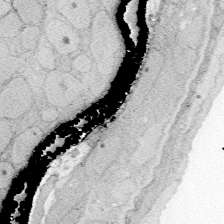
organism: Zebrafish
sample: Whole-Brain